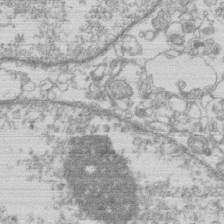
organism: Human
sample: Macrophage cells